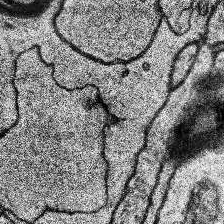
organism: Human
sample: Temporal Lobe